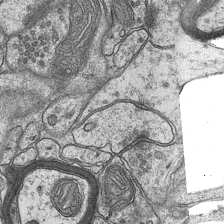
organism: Mouse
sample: CA1 Hippocampus